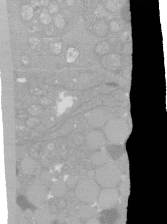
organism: C. elegans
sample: C. elegans oocyte; sperm cells